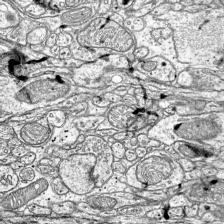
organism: Mouse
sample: Visual Cortex